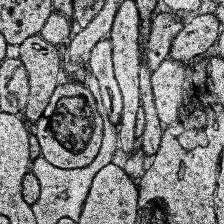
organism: Human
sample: Temporal Lobe